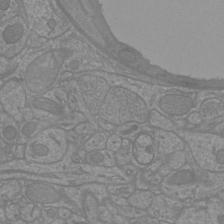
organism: Mouse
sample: Cortical neurons